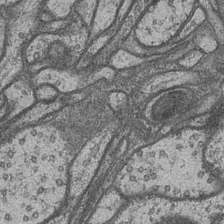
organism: Drosophila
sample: Optic medulla